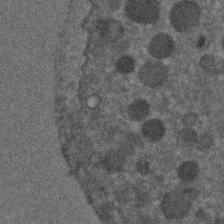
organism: C. elegans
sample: C. elegans embryo